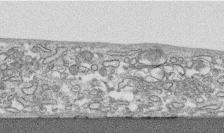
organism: Human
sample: CRL-1474